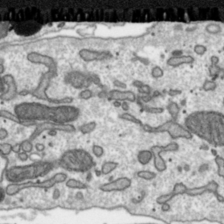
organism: Toxoplasma gondii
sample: Parasites in a vacuole inside a host cell